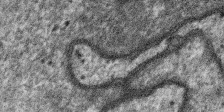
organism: Human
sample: Lung epithelial cells infected with SARS-CoV-2